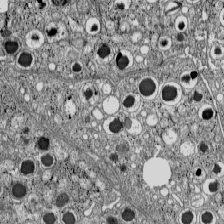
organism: C57BL Mouse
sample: Pancreatic islet